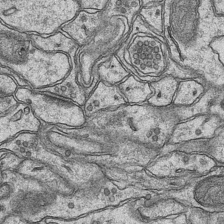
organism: Mouse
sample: CA1 Hippocampus